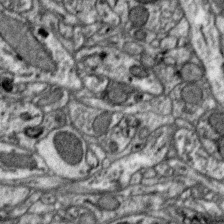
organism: Zebra finch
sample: Brain